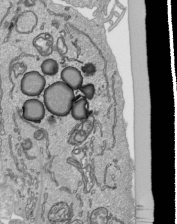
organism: Human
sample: Mitochondria in HCT116 cells